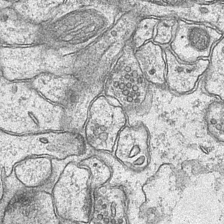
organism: Mouse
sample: CA1 Hippocampus